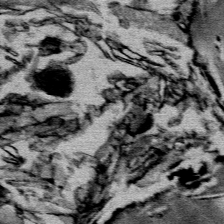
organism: Mouse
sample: Mouse Salivary gland